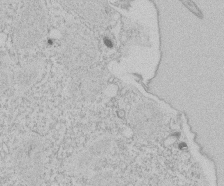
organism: Tetrahymena